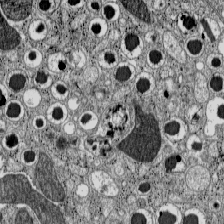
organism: C57BL Mouse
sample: Pancreatic islet